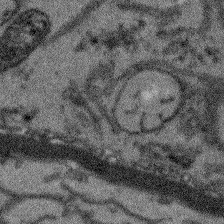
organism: Arabidopsis thaliana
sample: Root tip